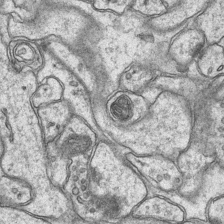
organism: Mouse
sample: CA1 Hippocampus